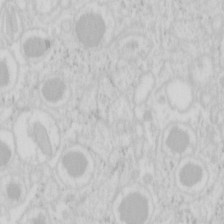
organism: Mouse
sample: Pancreas